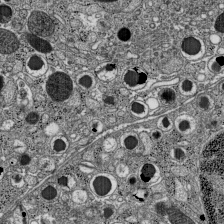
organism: C57BL Mouse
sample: Pancreatic islet